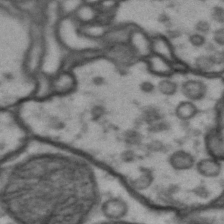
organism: Drosophila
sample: Brain